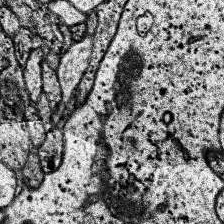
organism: Human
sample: Temporal Lobe